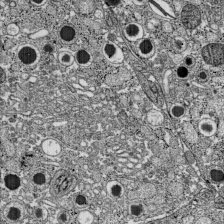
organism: C57BL Mouse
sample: Pancreatic islet